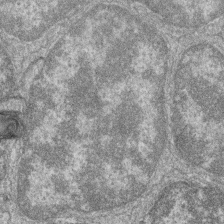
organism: Zebrafish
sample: Cilia; retinal pigment epithelium